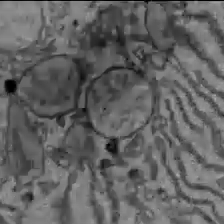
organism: C57BL Mouse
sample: Liver